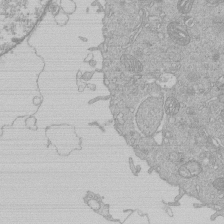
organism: Human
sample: Macrophage cells